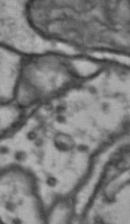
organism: Drosophila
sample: Brain